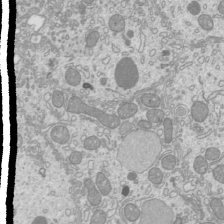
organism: Mouse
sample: Cilia; mouse epididymis